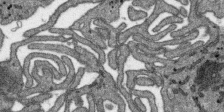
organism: Human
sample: Lung epithelial cells, uninfected (mock) control